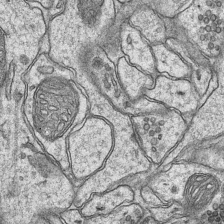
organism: Mouse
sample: CA1 Hippocampus